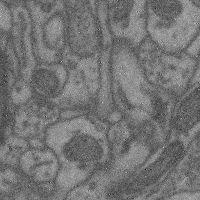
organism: Mouse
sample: Cerebral cortex